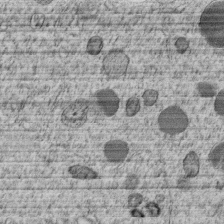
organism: C. elegans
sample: C. elegans embryo early stage